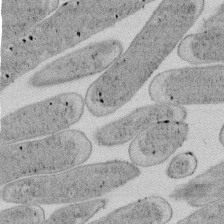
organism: E. coli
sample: Bacterial nucleoid